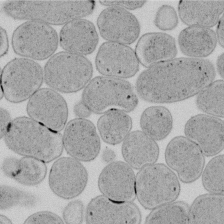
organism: E. coli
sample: Bacterial nucleoid